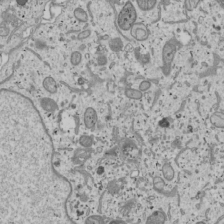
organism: Human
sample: Mitochondria in U2OS cells